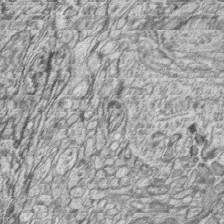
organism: Zebrafish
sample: synaptic ribbons in rod cells and cone cells